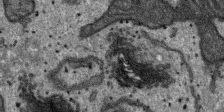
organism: Human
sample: Lung epithelial cells, uninfected (mock) control